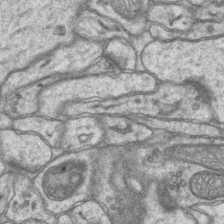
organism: Mouse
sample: CA1 Hippocampus